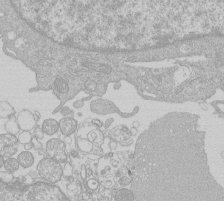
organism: Human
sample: Macrophage cells